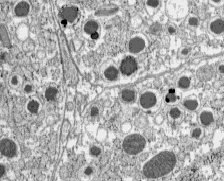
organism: C57BL Mouse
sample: Pancreatic islet